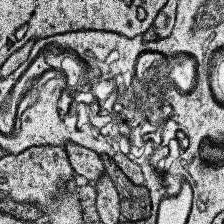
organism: Human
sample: Temporal Lobe